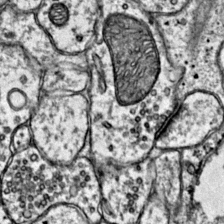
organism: Mouse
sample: Primary visual cortex